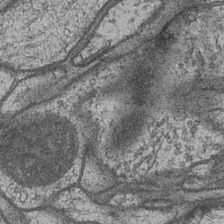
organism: Drosophila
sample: Optic medulla